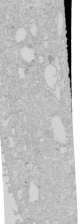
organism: Human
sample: Caco-2 cells